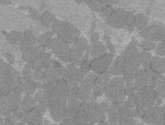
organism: C57BL Mouse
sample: Tibialis anterior muscle cell